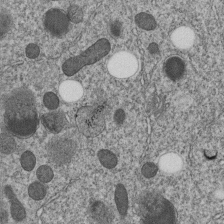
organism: C. elegans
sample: C. elegans embryo early stage